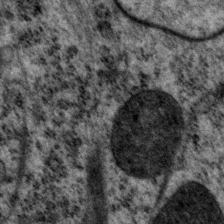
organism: P. pacificus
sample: Pharynx